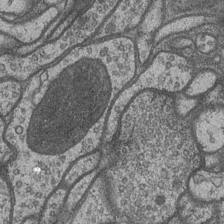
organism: Drosophila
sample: Optic medulla